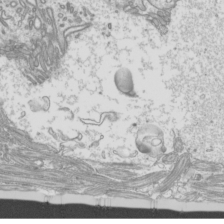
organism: Mouse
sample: Cilia; mouse epididymis